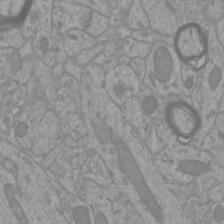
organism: Mouse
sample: Cortical neurons